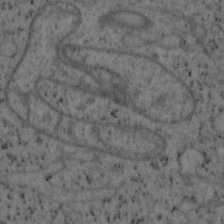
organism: Human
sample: HeLa cells